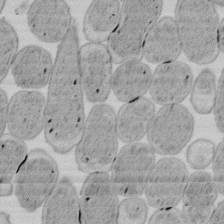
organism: E. coli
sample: Bacterial nucleoid